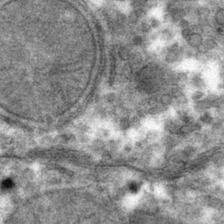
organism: Mouse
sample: Mouse hepatocytes